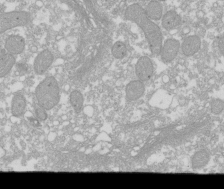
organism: Xenopus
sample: Cilia; centrioles in frog embryo cells